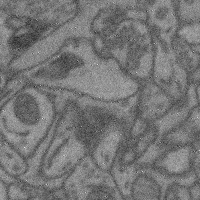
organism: Mouse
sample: Cerebral cortex